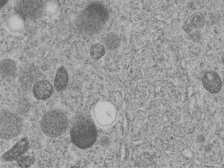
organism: C. elegans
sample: C. elegans embryo early stage